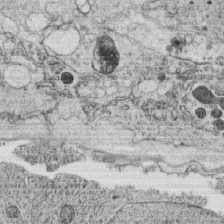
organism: C. elegans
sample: C. elegans oocyte; sperm cells